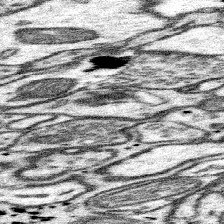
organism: Mouse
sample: Somatosensory cortex neuropil